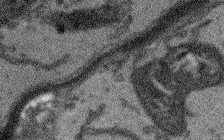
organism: Arabidopsis thaliana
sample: Root tip